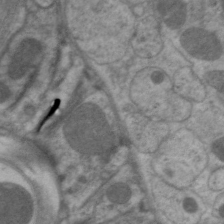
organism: C. elegans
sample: Pharynx